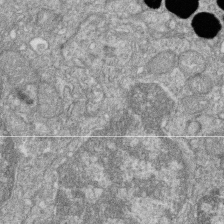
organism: Zebrafish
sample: Cilia; retinal pigment epithelium